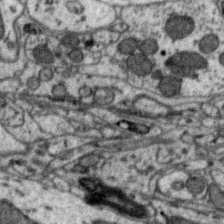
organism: Zebra finch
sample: Brain